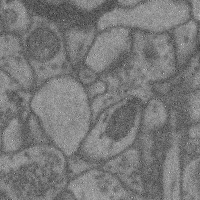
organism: Mouse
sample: Cerebral cortex